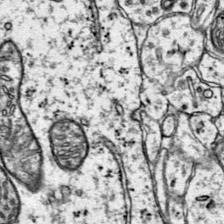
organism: Mouse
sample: Primary visual cortex